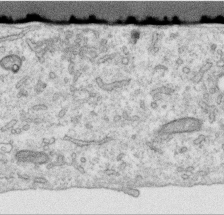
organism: Human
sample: Centriole in RPE cells